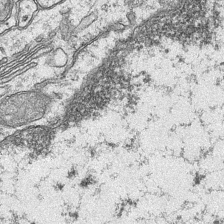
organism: Mouse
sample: CA1 Hippocampus